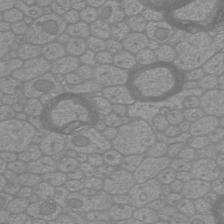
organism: Mouse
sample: Cortical neurons